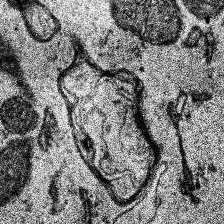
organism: Human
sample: Temporal Lobe